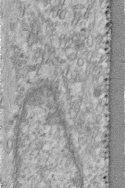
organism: Human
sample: Centriole in fibroblast cells